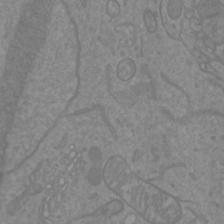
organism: Mouse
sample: Cortical neurons